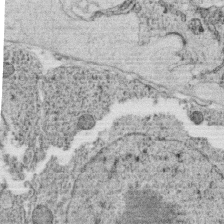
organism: C. elegans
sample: C. elegans oocyte; sperm cells